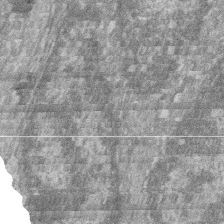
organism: Zebrafish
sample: Cilia; retinal pigment epithelium